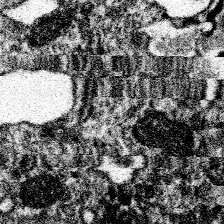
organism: Spongilla lacustris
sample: Neuroid cell